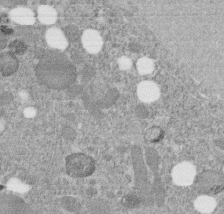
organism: C. elegans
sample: C. elegans embryo early stage